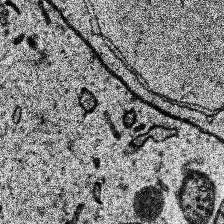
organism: Human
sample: Temporal Lobe